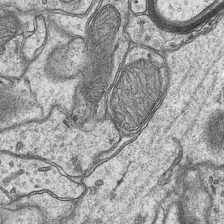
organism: Mouse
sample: CA1 Hippocampus